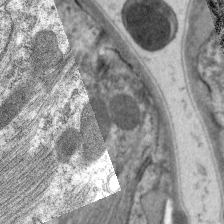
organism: C. elegans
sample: Pharynx